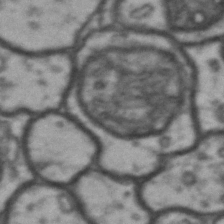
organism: Drosophila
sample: Brain